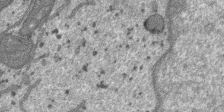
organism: Human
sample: Lung epithelial cells infected with SARS-CoV-2